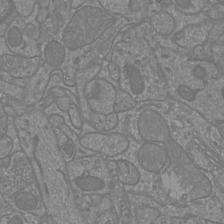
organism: Mouse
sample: Cortical neurons